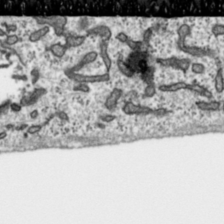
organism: Toxoplasma gondii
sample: Parasites in a vacuole inside a host cell